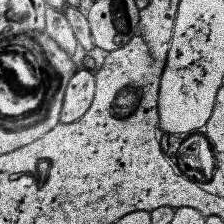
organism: Human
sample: Temporal Lobe